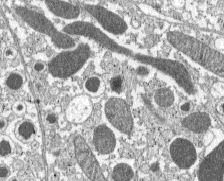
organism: C57BL Mouse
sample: Pancreatic islet